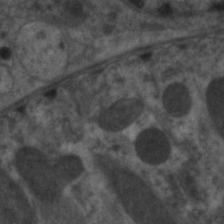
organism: C. elegans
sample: Pharynx